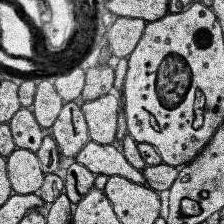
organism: Human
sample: Temporal Lobe